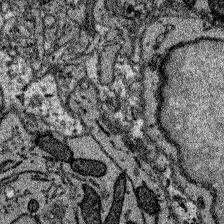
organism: Zebrafish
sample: Larval olfactory bulb